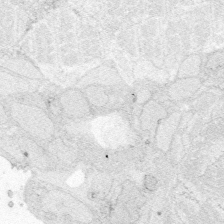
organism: Zebrafish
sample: Whole-Brain